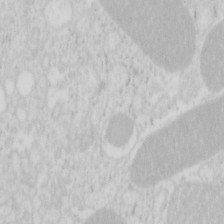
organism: Mouse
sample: Pancreas